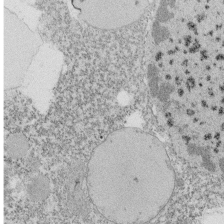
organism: Tetrahymena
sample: Cilia in tetrahymena